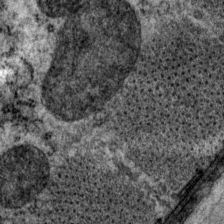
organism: P. pacificus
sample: Pharynx